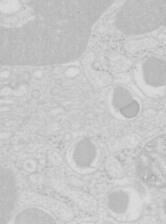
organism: Mouse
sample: Pancreas